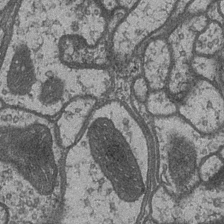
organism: Drosophila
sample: Optic medulla